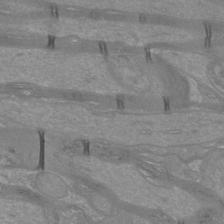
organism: Mouse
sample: Cortical neurons